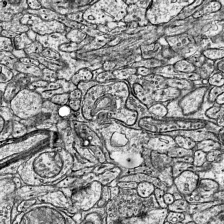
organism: Mouse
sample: Visual Cortex